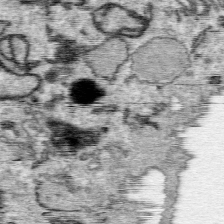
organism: Human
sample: HeLa cells